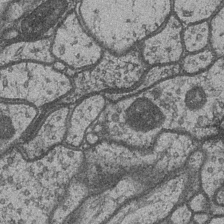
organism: Drosophila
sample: Optic medulla